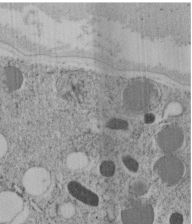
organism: C. elegans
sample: C. elegans embryo early stage